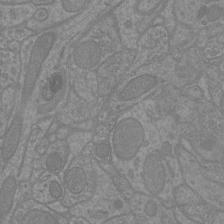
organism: Mouse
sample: Cortical neurons